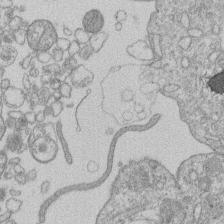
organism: Human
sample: Macrophage cells